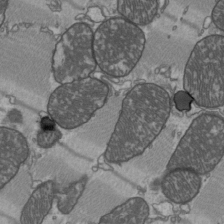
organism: C57BL Mouse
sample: Heart